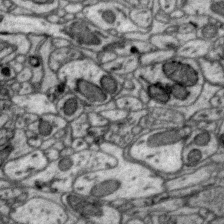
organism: Zebra finch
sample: Brain